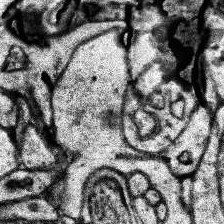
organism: Human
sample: Temporal Lobe